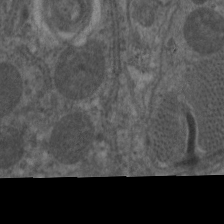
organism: C. elegans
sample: Pharynx